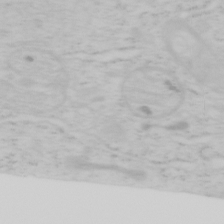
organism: Mouse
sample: OT-I killer T cells with ID8 ovarian cancer cells